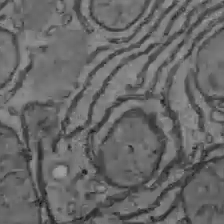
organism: C57BL Mouse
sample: Liver